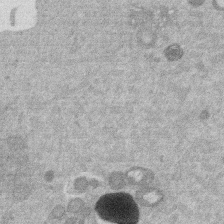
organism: Mouse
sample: Dividing mouse embryo 1 cell stage